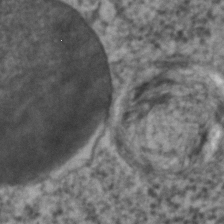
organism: C. elegans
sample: C. elegans embryo